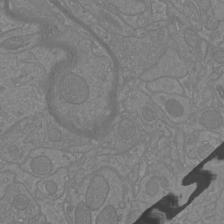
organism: Mouse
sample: Cortical neurons